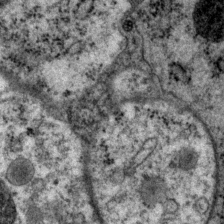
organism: P. pacificus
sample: Pharynx